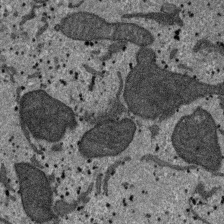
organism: Human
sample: Lung epithelial cells, uninfected (mock) control